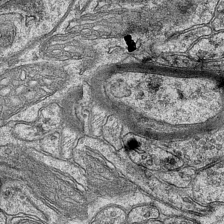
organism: Mouse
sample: CA1 Hippocampus